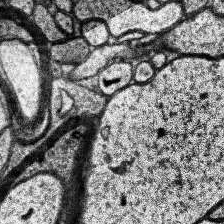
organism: Human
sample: Temporal Lobe